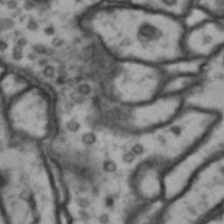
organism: Drosophila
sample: Brain